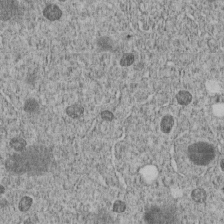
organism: C. elegans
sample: C. elegans embryo early stage